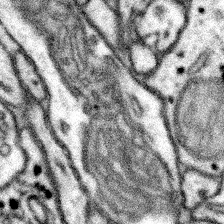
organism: Mouse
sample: Somatosensory cortex neuropil